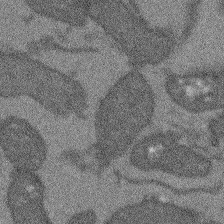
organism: Arabidopsis thaliana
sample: Root tip